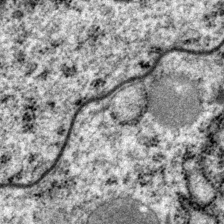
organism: P. pacificus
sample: Pharynx